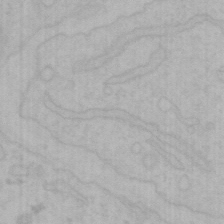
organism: Mouse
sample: Choroid plexus